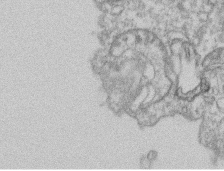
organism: Mouse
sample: T cell stromal cell synapse